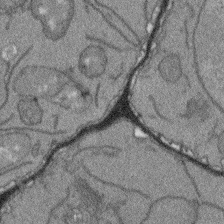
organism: Arabidopsis thaliana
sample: Root tip